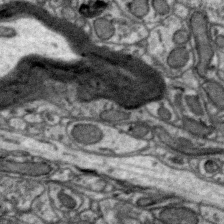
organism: Zebra finch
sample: Brain